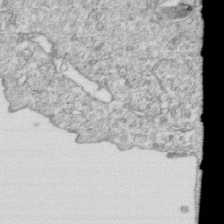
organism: Mouse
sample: Activated OT-1 CD8+ T cells